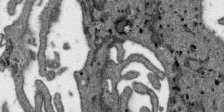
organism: Human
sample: Lung epithelial cells, uninfected (mock) control